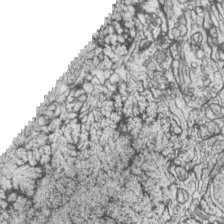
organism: Zebrafish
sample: synaptic ribbons in rod cells and cone cells